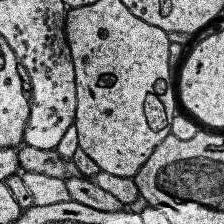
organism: Human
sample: Temporal Lobe